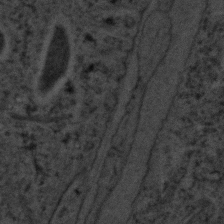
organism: C. elegans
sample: C. elegans embryo